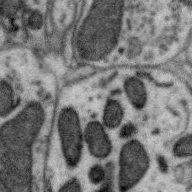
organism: Zebra finch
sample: Brain